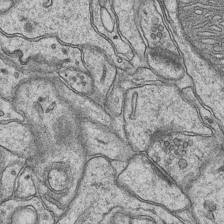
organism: Mouse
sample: CA1 Hippocampus